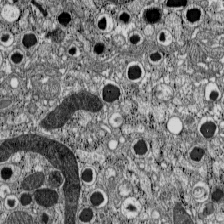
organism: C57BL Mouse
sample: Pancreatic islet